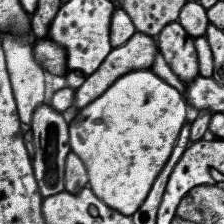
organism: Human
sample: Temporal Lobe